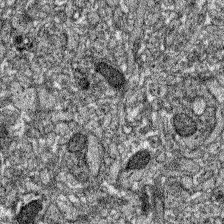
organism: Zebrafish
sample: Larval olfactory bulb